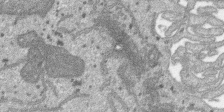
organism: Human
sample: Lung epithelial cells infected with SARS-CoV-2